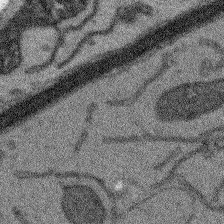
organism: Arabidopsis thaliana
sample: Root tip